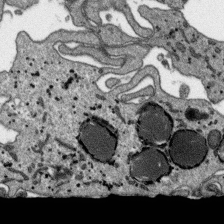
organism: Human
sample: Lung epithelial cells, uninfected (mock) control